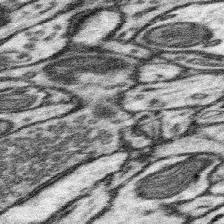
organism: Mouse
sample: Somatosensory cortex neuropil